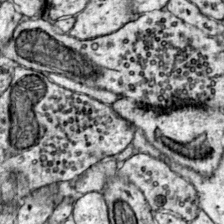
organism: Mouse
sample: Primary visual cortex